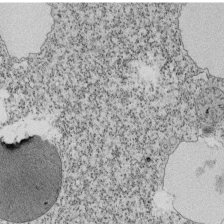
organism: Tetrahymena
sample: Cilia in tetrahymena